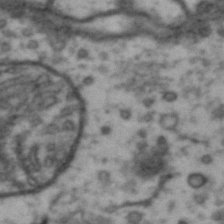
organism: Drosophila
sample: Brain